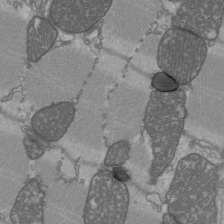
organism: C57BL Mouse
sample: Heart